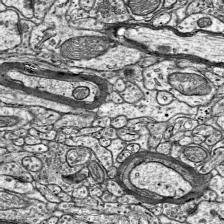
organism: Mouse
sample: Visual Cortex